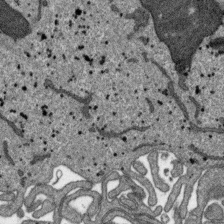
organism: Human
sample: Lung epithelial cells, uninfected (mock) control